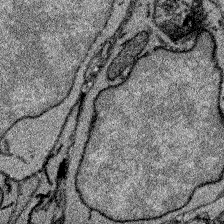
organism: Zebrafish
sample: Larval olfactory bulb